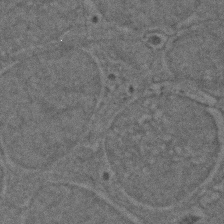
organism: Zebrafish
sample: Zebrafish embryo